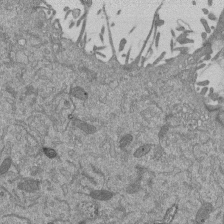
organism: Mouse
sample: ED-1 cell nuclei; centrioles